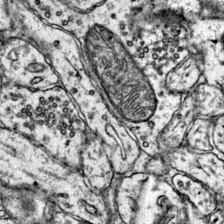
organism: Mouse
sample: Primary visual cortex